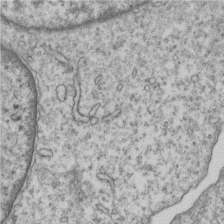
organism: Human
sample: MDA-MB-231 cells